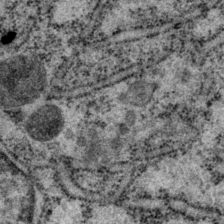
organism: P. pacificus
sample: Pharynx